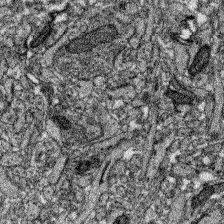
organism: Zebrafish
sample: Larval olfactory bulb